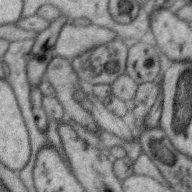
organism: Zebra finch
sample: Brain